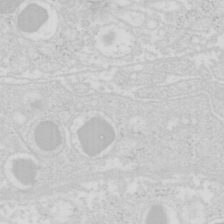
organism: Mouse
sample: Pancreas